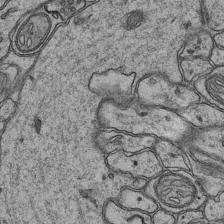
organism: Mouse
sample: CA1 Hippocampus